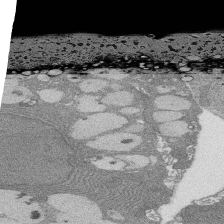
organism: Rat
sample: Salivary granule